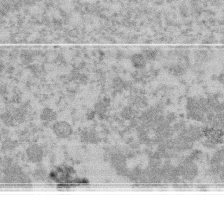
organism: Mouse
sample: Dividing mouse embryo 1 cell stage